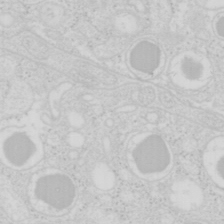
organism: Mouse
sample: Pancreas